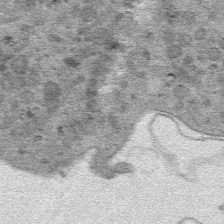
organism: Mouse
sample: Mouse hepatocytes